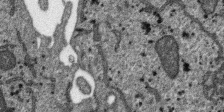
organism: Human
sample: Lung epithelial cells infected with SARS-CoV-2